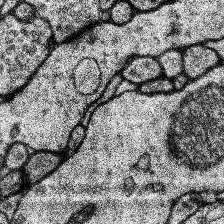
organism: Human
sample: Temporal Lobe